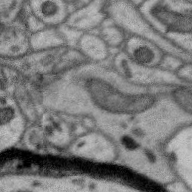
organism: Zebra finch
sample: Brain